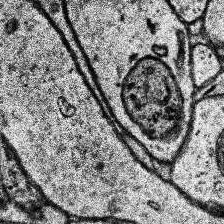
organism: Human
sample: Temporal Lobe